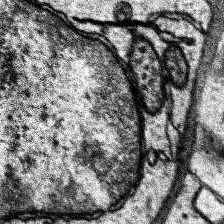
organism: Human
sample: Temporal Lobe